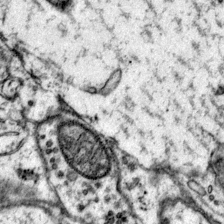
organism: Mouse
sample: Primary visual cortex